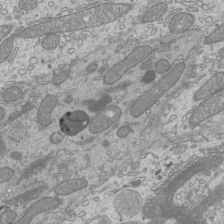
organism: Mouse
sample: Cilia; mouse epididymis